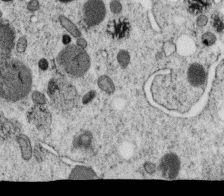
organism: C. elegans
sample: C. elegans oocyte; sperm cells